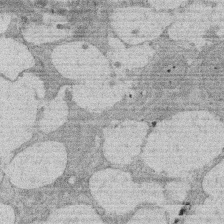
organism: Rat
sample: Salivary granule